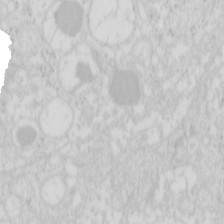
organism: Mouse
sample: Pancreas